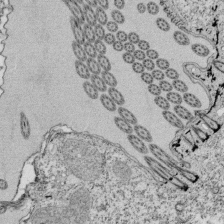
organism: Tetrahymena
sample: Cilia in tetrahymena